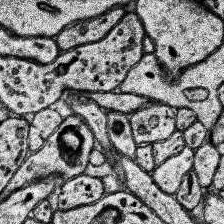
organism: Human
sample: Temporal Lobe